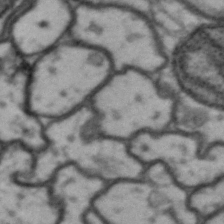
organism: Drosophila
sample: Brain